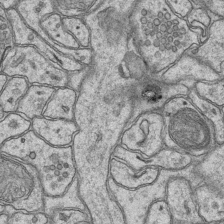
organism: Mouse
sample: CA1 Hippocampus